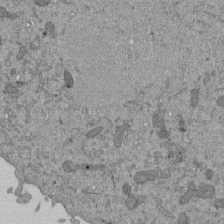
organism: Mouse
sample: ED-1 cell nuclei; centrioles